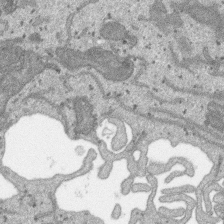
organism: Human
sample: Lung epithelial cells infected with SARS-CoV-2